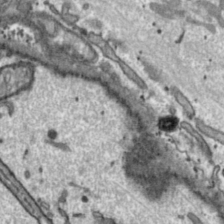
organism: Toxoplasma gondii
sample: Parasites in a vacuole inside a host cell